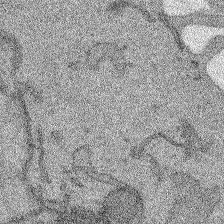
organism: Human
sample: HeLa cells